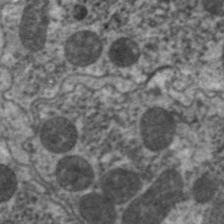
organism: C. elegans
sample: Pharynx